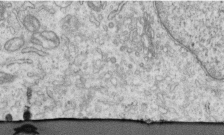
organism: Human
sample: Centriole in RPE cells